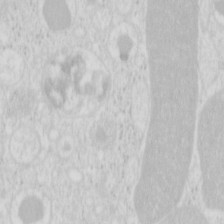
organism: Mouse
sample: Pancreas